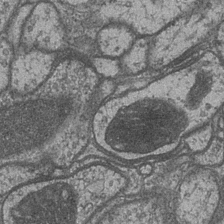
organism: Drosophila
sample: Optic medulla